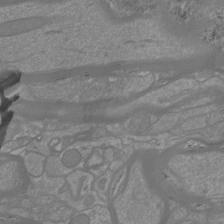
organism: Mouse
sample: Cortical neurons